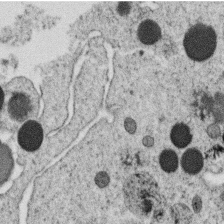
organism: C. elegans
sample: C. elegans oocyte; sperm cells